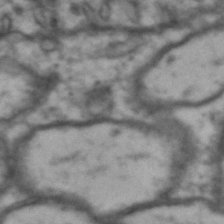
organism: Drosophila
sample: Brain